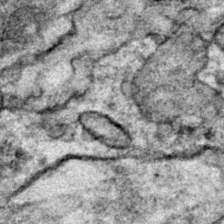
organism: Zebrafish